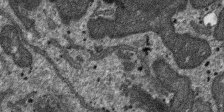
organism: Human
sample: Lung epithelial cells infected with SARS-CoV-2